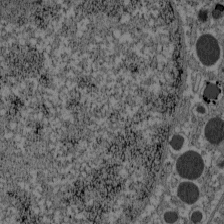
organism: C57BL Mouse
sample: Pancreatic islet